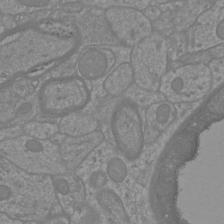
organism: Mouse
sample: Cortical neurons